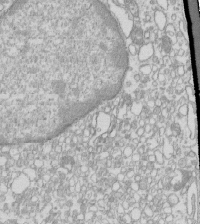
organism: Mouse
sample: Macrophages